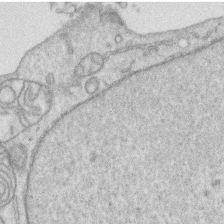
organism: Human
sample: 1205lu cells